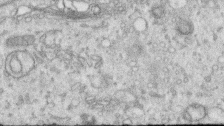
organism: Human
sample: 1205lu cells